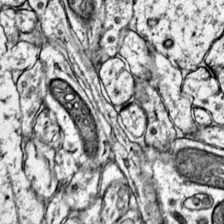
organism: Mouse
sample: Primary visual cortex